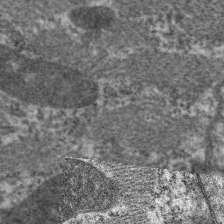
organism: C. elegans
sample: Pharynx